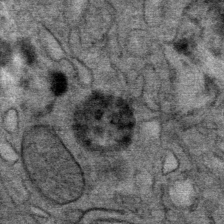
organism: Mouse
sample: Mouse Salivary gland